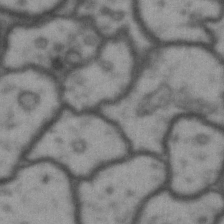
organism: Drosophila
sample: Brain